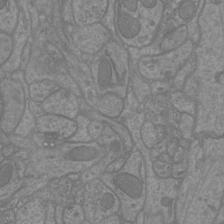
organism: Mouse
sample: Cortical neurons